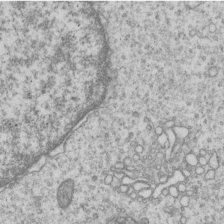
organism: Human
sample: MDA-MB-231 cells